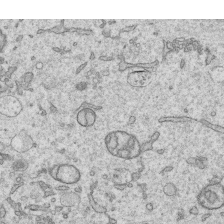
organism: Human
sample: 1205lu cells